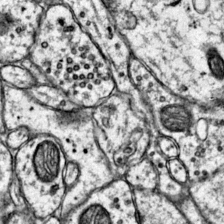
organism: Mouse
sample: Primary visual cortex